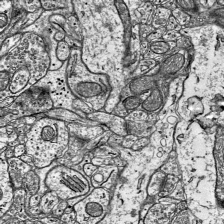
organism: Mouse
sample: Visual Cortex